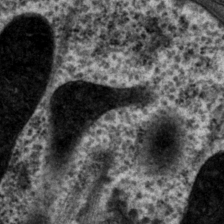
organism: P. pacificus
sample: Pharynx